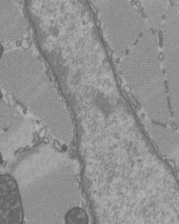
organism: C57BL Mouse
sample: Heart